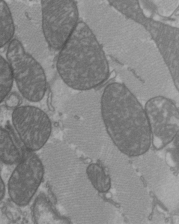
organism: C57BL Mouse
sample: Heart